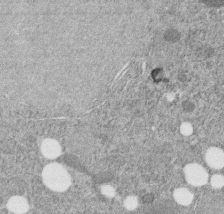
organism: C. elegans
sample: C. elegans embryo early stage